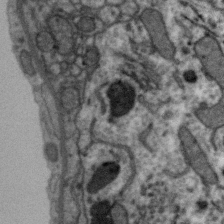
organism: Zebra finch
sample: Brain